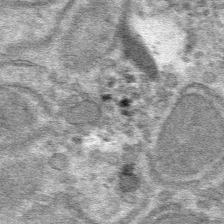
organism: Mouse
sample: Mouse hepatocytes